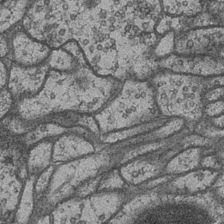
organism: Drosophila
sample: Optic medulla